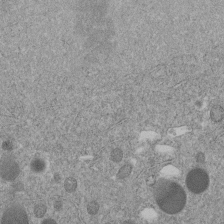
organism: C. elegans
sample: C. elegans embryo early stage